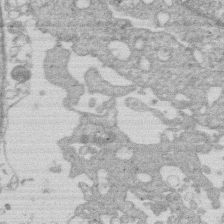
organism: Human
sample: Macrophage cells